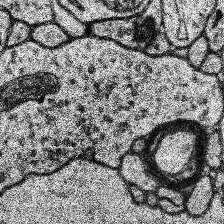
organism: Human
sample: Temporal Lobe